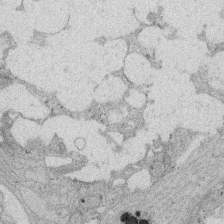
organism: Rat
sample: Salivary granule